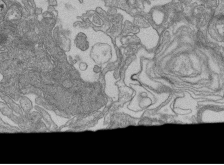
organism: Human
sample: Retinal organoid Rod and Cone cells